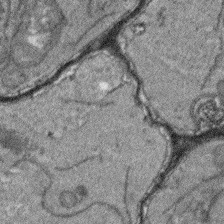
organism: Arabidopsis thaliana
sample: Root tip